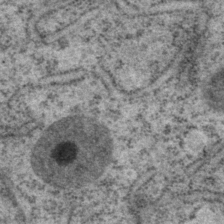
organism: P. pacificus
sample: Pharynx